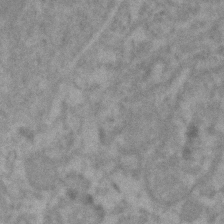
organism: Human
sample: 1205lu cells